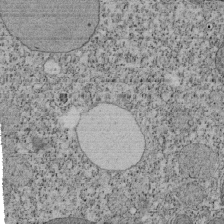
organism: Tetrahymena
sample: Cilia in tetrahymena